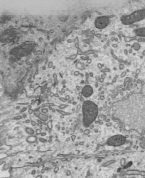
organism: Mouse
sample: Mouse epididymis efferent ductule cilia